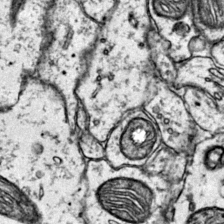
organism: Mouse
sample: Primary visual cortex